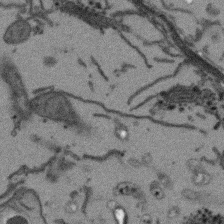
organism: Arabidopsis thaliana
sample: Root tip